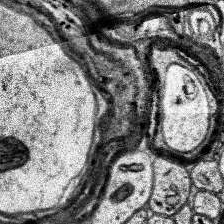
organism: Human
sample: Temporal Lobe